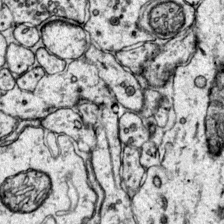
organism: Mouse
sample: Primary visual cortex